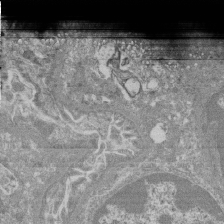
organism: Mouse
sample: Glomerulus